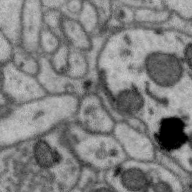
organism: Zebra finch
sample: Brain